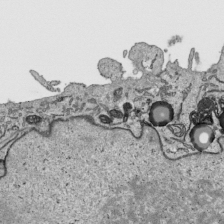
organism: Human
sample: Mitochondria in HCT116 cells